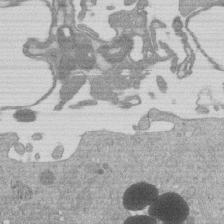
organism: Mouse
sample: Dividing mouse embryo 1 cell stage